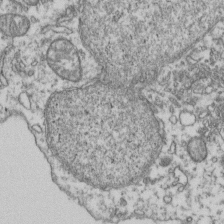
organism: Human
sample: Activated Jurkat CD4+ T cells